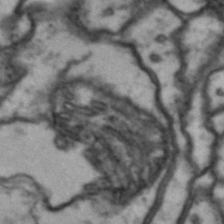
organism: Drosophila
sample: Brain